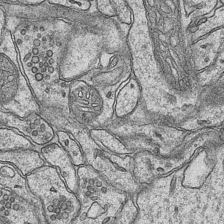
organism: Mouse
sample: CA1 Hippocampus